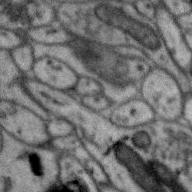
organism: Zebra finch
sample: Brain